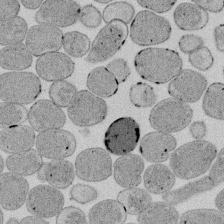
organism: E. coli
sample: Bacterial nucleoid